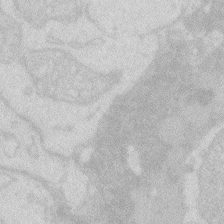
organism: Zebrafish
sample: Macrophage